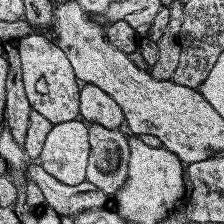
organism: Human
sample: Temporal Lobe